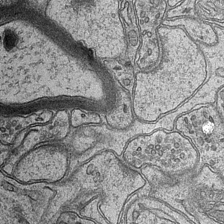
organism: Mouse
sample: CA1 Hippocampus